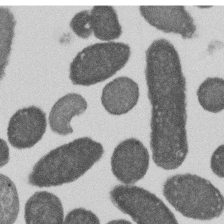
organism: E. coli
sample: Bacterial nucleoid